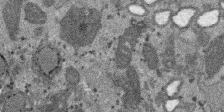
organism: Human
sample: Lung epithelial cells infected with SARS-CoV-2